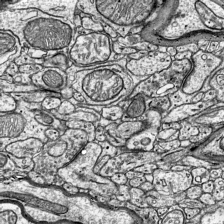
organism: Mouse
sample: Visual Cortex